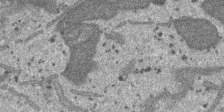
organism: Human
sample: Lung epithelial cells infected with SARS-CoV-2